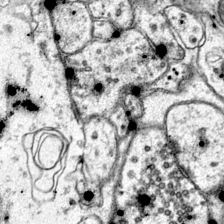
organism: Mouse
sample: Primary visual cortex